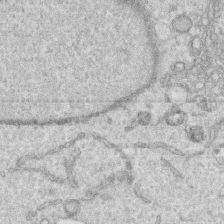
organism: Human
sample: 1205lu cells